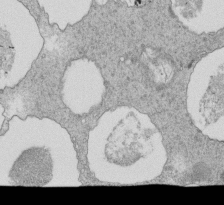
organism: Tetrahymena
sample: Cilia in tetrahymena